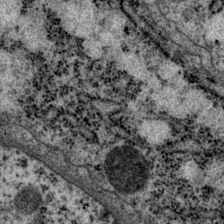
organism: P. pacificus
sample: Pharynx